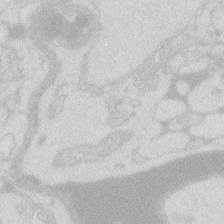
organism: Zebrafish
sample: Macrophage